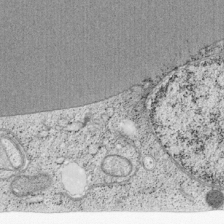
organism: African green monkey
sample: COS-7 cells